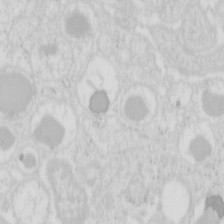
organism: Mouse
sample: Pancreas